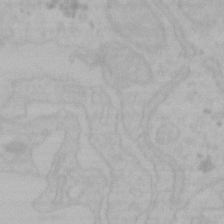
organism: Mouse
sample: Choroid plexus